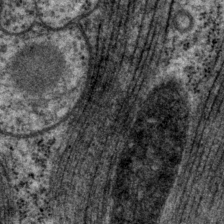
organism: P. pacificus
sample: Pharynx